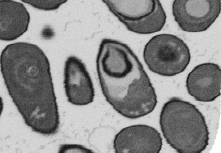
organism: B. subtilis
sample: Bacterial spore